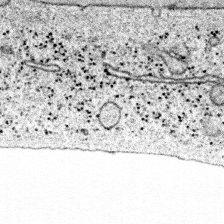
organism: Human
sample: HeLa cells